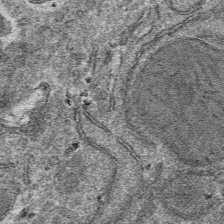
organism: Mouse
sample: Mouse hepatocytes